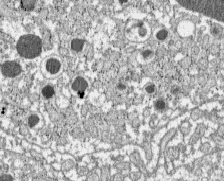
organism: C57BL Mouse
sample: Pancreatic islet